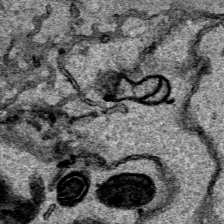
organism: Human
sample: Mitochondria in HCT116 cells